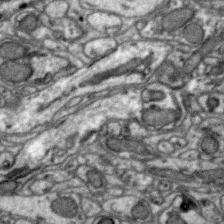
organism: Zebra finch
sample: Brain